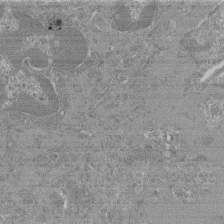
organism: Mouse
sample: Glomerulus